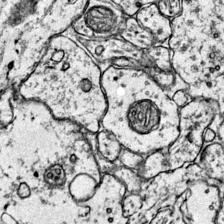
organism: Mouse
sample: Primary visual cortex